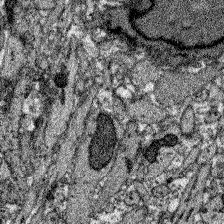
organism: Zebrafish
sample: Larval olfactory bulb